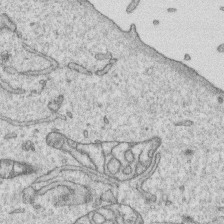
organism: Human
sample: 1205lu cells